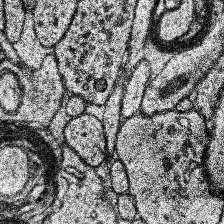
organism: Human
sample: Temporal Lobe